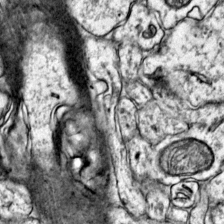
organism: Mouse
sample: Primary visual cortex